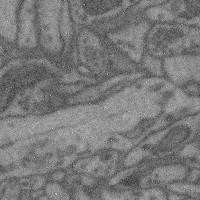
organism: Mouse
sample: Cerebral cortex